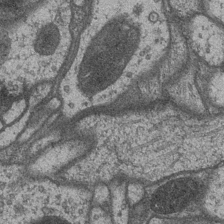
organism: Drosophila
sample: Optic medulla